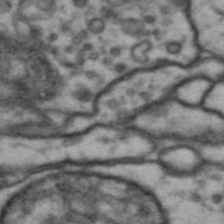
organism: Drosophila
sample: Brain